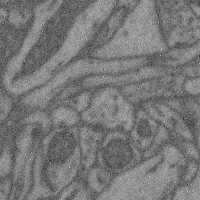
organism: Mouse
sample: Cerebral cortex